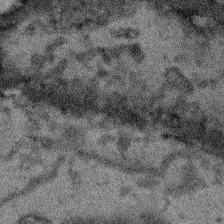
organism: Arabidopsis thaliana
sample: Root tip